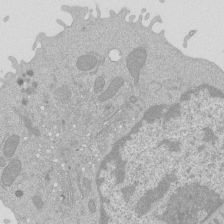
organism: Mouse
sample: Activated Pmel transgenic CD8+ T Cells